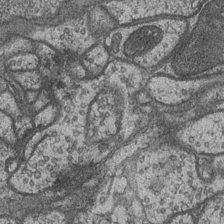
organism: Drosophila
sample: Optic medulla